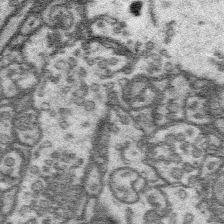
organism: Platynereis dumerilii